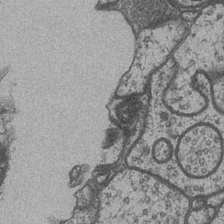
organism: Drosophila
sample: Optic medulla